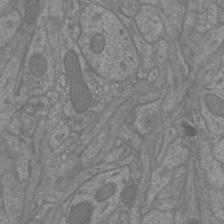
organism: Mouse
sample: Cortical neurons